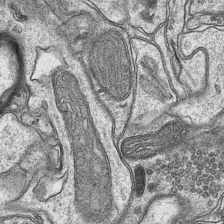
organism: Mouse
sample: CA1 Hippocampus